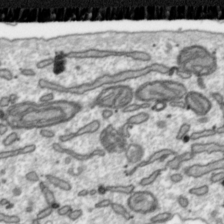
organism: Toxoplasma gondii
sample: Parasites in a vacuole inside a host cell